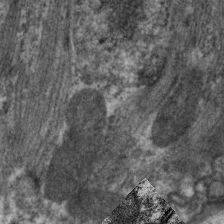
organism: C. elegans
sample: Pharynx